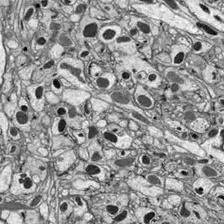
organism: Drosophila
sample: Optic lobe